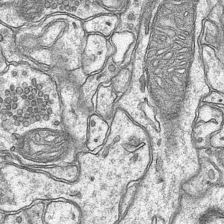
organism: Mouse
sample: CA1 Hippocampus